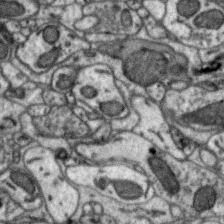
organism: Zebra finch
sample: Brain